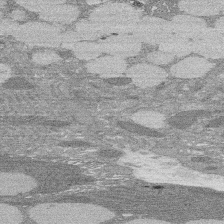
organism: Rat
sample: Salivary granule